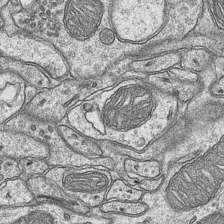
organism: Mouse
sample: CA1 Hippocampus